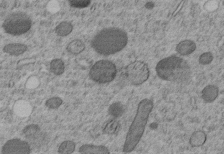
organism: C. elegans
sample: C. elegans embryo early stage